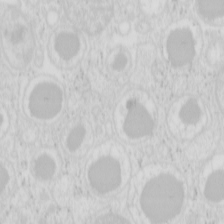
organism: Mouse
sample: Pancreas